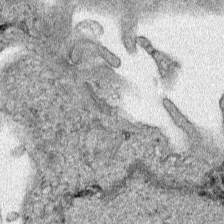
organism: Human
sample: Mitochondria in HCT116 cells